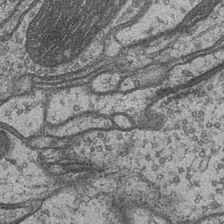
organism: Drosophila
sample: Optic medulla